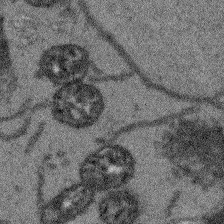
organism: Arabidopsis thaliana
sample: Root tip